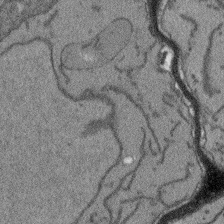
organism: Arabidopsis thaliana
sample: Root tip